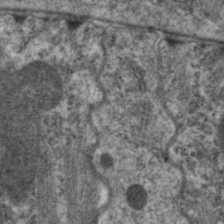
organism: C. elegans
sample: Pharynx